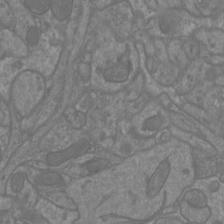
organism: Mouse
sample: Cortical neurons